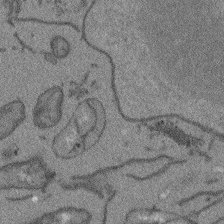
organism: Arabidopsis thaliana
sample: Root tip